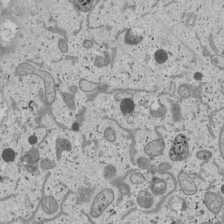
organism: Human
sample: Mitochondria in U2OS cells